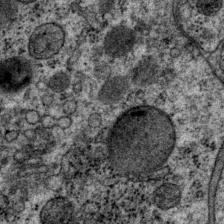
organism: P. pacificus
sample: Pharynx